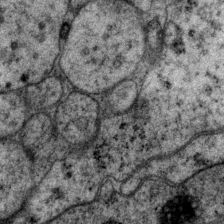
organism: P. pacificus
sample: Pharynx